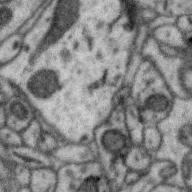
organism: Zebra finch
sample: Brain